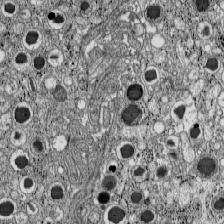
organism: C57BL Mouse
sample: Pancreatic islet